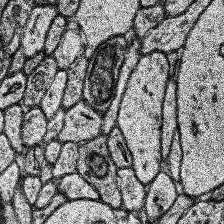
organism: Human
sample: Temporal Lobe